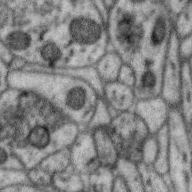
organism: Zebra finch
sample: Brain